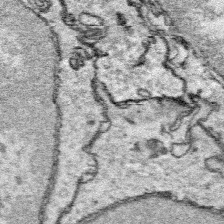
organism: Platynereis dumerilii